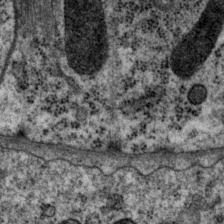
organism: P. pacificus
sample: Pharynx